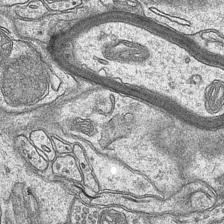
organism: Mouse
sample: CA1 Hippocampus